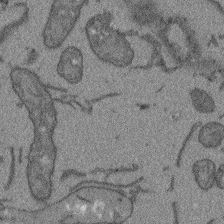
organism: Arabidopsis thaliana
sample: Root tip